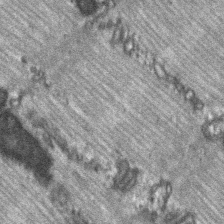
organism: C57BL Mouse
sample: Soleus